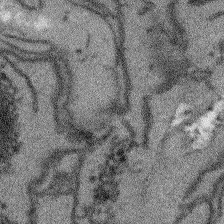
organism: Arabidopsis thaliana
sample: Root tip